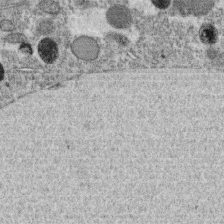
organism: C. elegans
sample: C. elegans oocyte; sperm cells